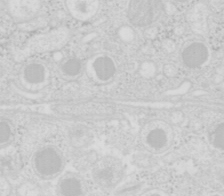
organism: Mouse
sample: Pancreas